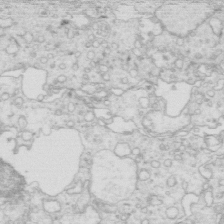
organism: Mouse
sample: Multiciliated cells